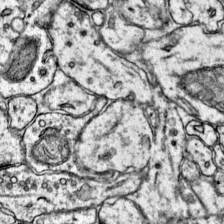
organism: Mouse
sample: Primary visual cortex